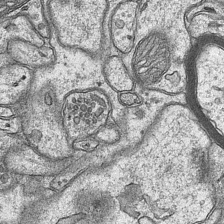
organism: Mouse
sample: CA1 Hippocampus